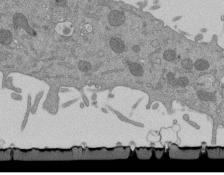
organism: Mouse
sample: ED-1 cell nuclei; centrioles